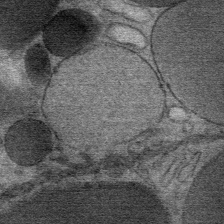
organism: Mouse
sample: Mouse Salivary gland